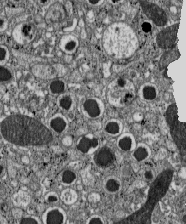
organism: C57BL Mouse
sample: Pancreatic islet